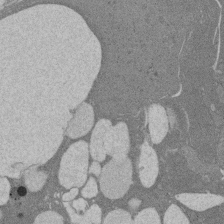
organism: Rat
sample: Salivary granule